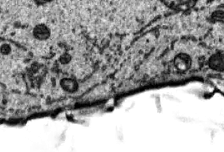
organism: Human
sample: HeLa cells